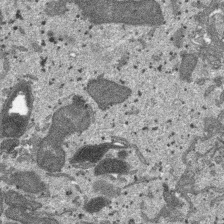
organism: Human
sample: Lung epithelial cells infected with SARS-CoV-2